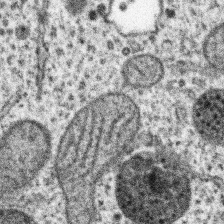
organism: Human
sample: HeLa cells